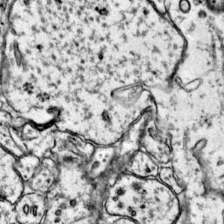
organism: Mouse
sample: Primary visual cortex